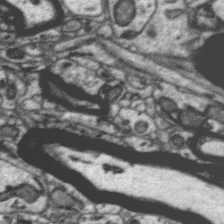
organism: Zebra finch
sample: Brain